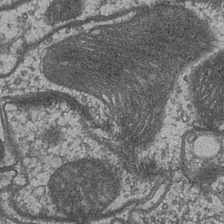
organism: Drosophila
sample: Optic medulla